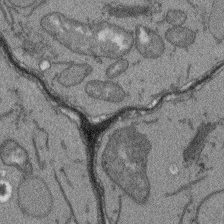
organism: Arabidopsis thaliana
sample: Root tip